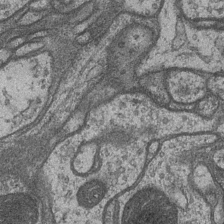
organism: Drosophila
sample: Optic medulla